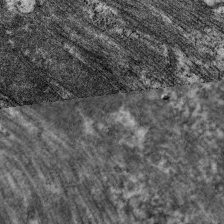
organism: C. elegans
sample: Pharynx